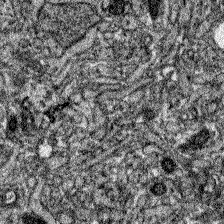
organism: Zebrafish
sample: Larval olfactory bulb